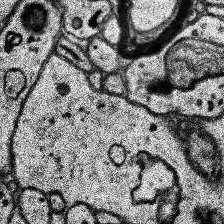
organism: Human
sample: Temporal Lobe